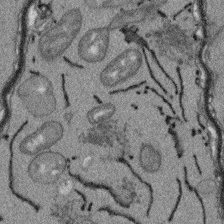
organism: Arabidopsis thaliana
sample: Root tip